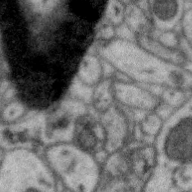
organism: Zebra finch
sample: Brain